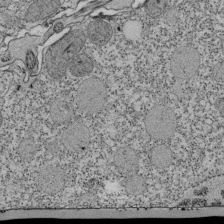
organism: Tetrahymena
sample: Cilia in tetrahymena